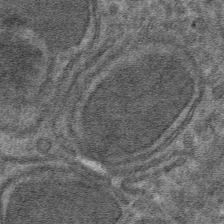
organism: Mouse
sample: Mouse hepatocytes